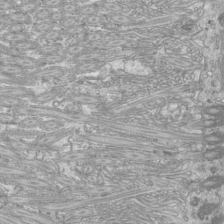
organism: Mouse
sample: Cilia; mouse epididymis